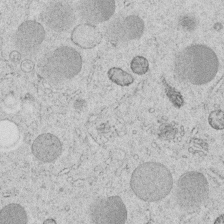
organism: C. elegans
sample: C. elegans embryo early stage